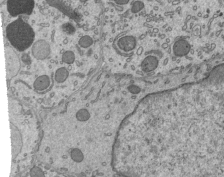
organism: Mouse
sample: Mouse epididymis efferent ductule cilia